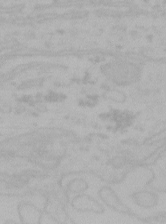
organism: Mouse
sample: Choroid plexus